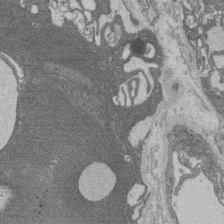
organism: Rat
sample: Salivary granule